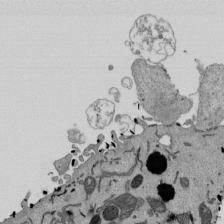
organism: Mouse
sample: ED-1 cell nuclei; centrioles